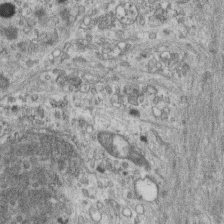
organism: Mouse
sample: Centriole in ependymal cells